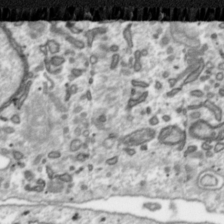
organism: Toxoplasma gondii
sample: Parasites in a vacuole inside a host cell